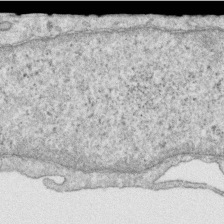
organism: Human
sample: Centriole in RPE cells